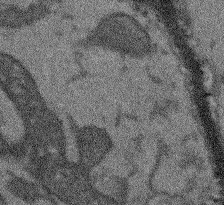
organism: Arabidopsis thaliana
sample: Root tip